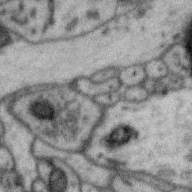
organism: Zebra finch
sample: Brain